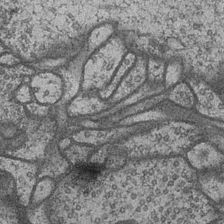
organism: Drosophila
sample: Optic medulla